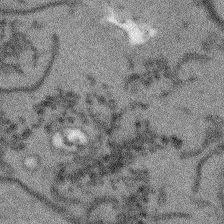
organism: Arabidopsis thaliana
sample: Root tip